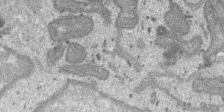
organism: Human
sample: Lung epithelial cells infected with SARS-CoV-2